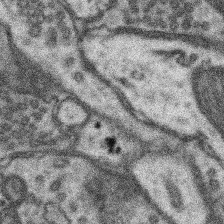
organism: Mouse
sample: Somatosensory cortex neuropil